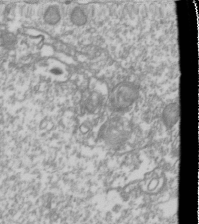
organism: Drosophila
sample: Cell division; meiosis; drosophila spermatocytes